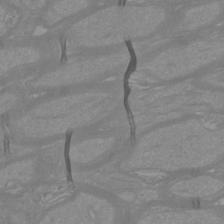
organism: Mouse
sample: Cortical neurons